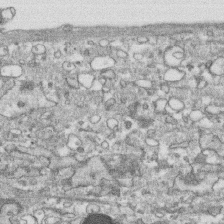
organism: Human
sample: CRL-1474